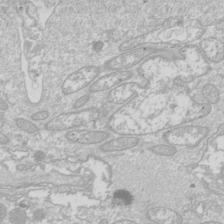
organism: Drosophila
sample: Cell division; meiosis; drosophila spermatocytes